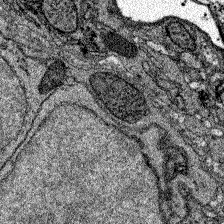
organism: Zebrafish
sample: Larval olfactory bulb